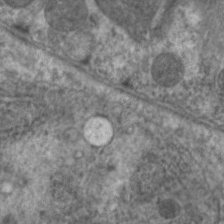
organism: C. elegans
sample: Pharynx